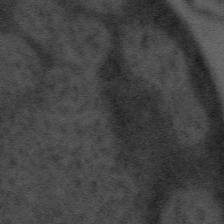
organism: Tuwongella immobilis